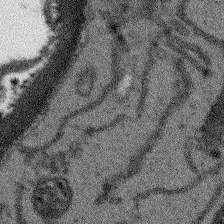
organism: Arabidopsis thaliana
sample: Root tip